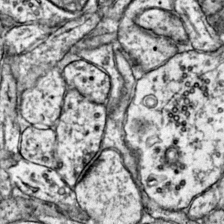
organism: Mouse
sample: Primary visual cortex